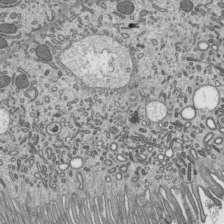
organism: Mouse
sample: Mouse epididymis efferent ductule cilia